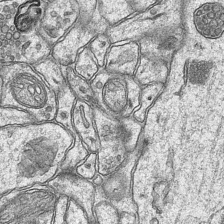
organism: Mouse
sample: CA1 Hippocampus